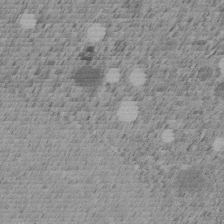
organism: C. elegans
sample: C. elegans embryo early stage